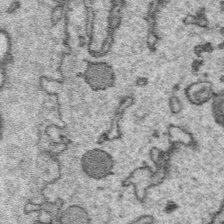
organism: Platynereis dumerilii